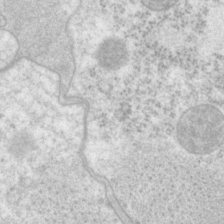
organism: P. pacificus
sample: Pharynx